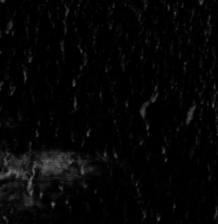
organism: Toxoplasma gondii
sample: Parasites in a vacuole inside a host cell